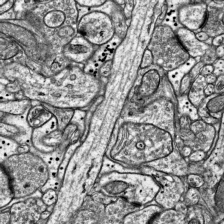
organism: Mouse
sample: Visual Cortex